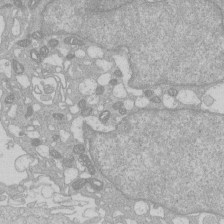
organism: Human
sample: Macrophage cells